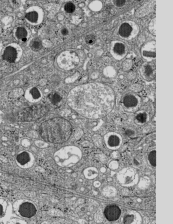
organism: C57BL Mouse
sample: Pancreatic islet